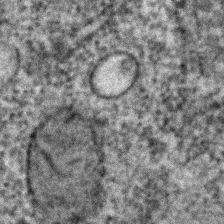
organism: C. elegans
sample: C. elegans embryo